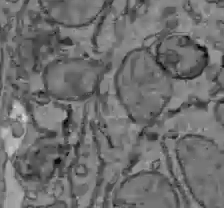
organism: C57BL Mouse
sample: Liver